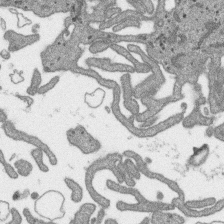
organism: Human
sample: Lung epithelial cells infected with SARS-CoV-2